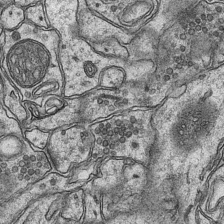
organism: Mouse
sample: CA1 Hippocampus